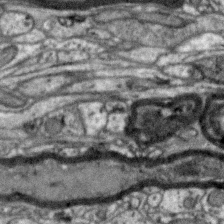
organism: Zebra finch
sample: Brain